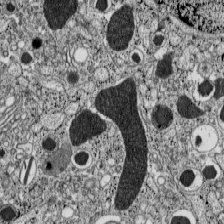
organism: C57BL Mouse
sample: Pancreatic islet